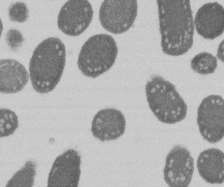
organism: E. coli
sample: Bacterial nucleoid